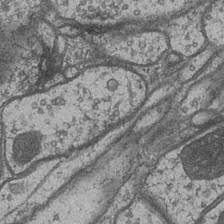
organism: Drosophila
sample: Optic medulla